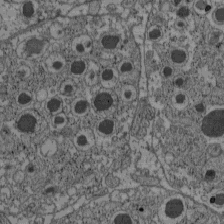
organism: C57BL Mouse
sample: Pancreatic islet